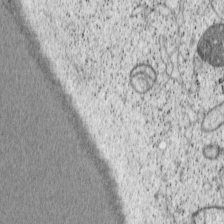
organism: African green monkey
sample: COS-7 cells